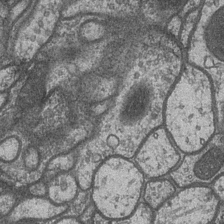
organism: Drosophila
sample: Optic medulla